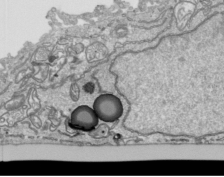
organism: Human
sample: Mitochondria in HCT116 cells